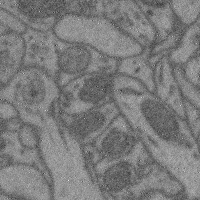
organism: Mouse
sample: Cerebral cortex